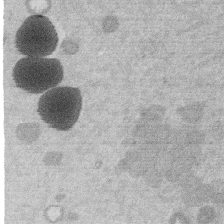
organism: Mouse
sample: Dividing mouse embryo 1 cell stage